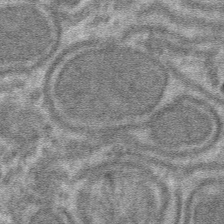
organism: Mouse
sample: Mouse hepatocytes